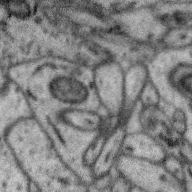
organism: Zebra finch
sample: Brain